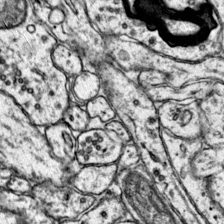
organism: Mouse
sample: Primary visual cortex